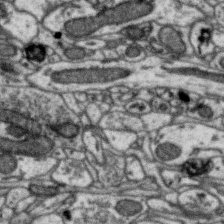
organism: Zebra finch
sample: Brain